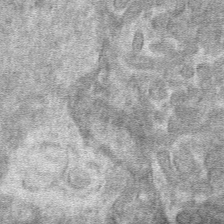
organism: Mouse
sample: Mouse hepatocytes